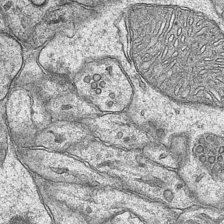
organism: Mouse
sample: CA1 Hippocampus